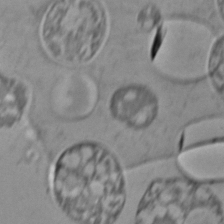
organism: C. elegans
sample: C. elegans embryo